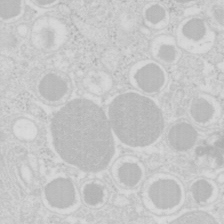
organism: Mouse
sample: Pancreas